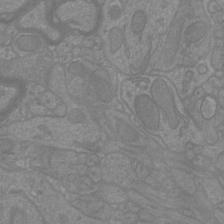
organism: Mouse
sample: Cortical neurons